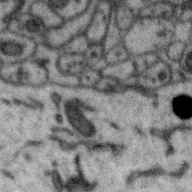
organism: Zebra finch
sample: Brain